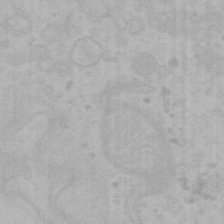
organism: Mouse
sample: Choroid plexus